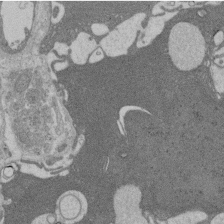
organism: Rat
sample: Salivary granule